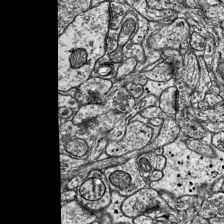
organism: Mouse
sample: Visual Cortex